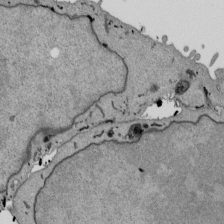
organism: Mouse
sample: ED-1 cell nuclei; centrioles